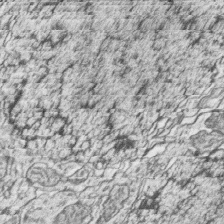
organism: Zebrafish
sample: synaptic ribbons in rod cells and cone cells